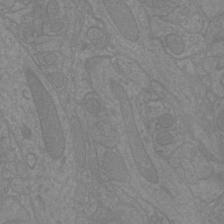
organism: Mouse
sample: Cortical neurons